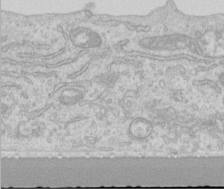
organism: Human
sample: Centriole in RPE cells